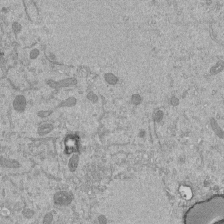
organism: Mouse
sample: ED-1 cell nuclei; centrioles